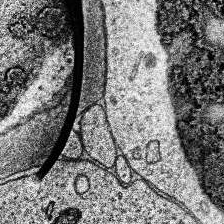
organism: Human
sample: Temporal Lobe